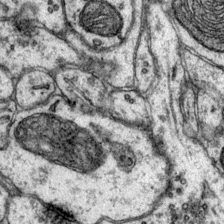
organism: Mouse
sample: Primary visual cortex